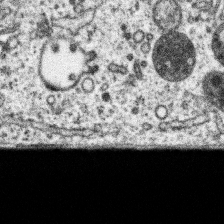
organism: Human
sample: HeLa cells